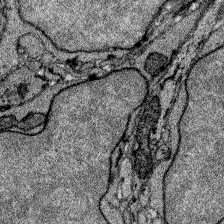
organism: Zebrafish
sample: Larval olfactory bulb